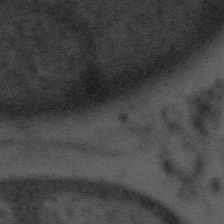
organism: Tuwongella immobilis